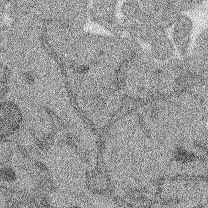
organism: Human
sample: HeLa cells